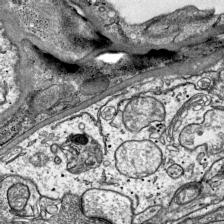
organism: Mouse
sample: Visual Cortex